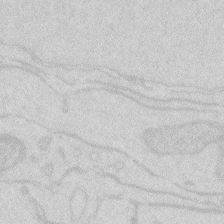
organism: Zebrafish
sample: Macrophage